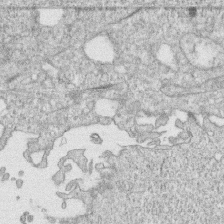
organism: Human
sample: HeLa cell HIV synapse